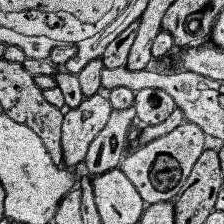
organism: Human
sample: Temporal Lobe